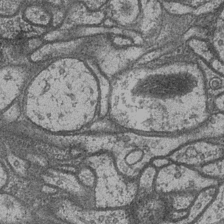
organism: Drosophila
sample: Optic medulla